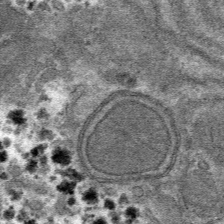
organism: Mouse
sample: Mouse hepatocytes